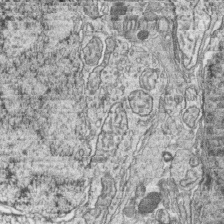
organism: Zebrafish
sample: synaptic ribbons in rod cells and cone cells